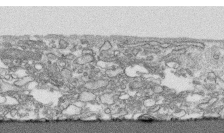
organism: Human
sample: CRL-1474